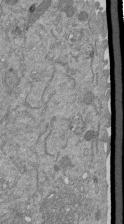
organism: Mouse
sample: ED-1 cell nuclei; centrioles